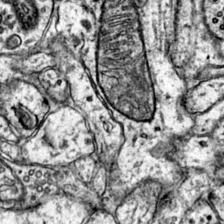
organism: Mouse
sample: Primary visual cortex